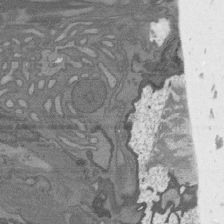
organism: C. elegans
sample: AFD neurons C. elegans